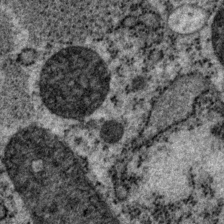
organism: P. pacificus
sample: Pharynx